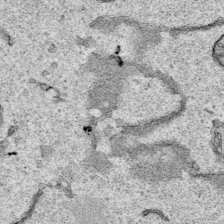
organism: Human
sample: Mitochondria in HCT116 cells